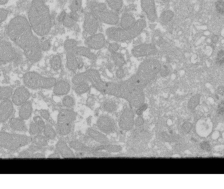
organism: Xenopus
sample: Cilia; centrioles in frog embryo cells